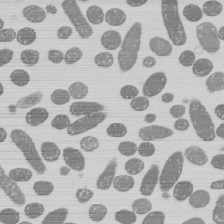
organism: E. coli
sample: Bacterial nucleoid